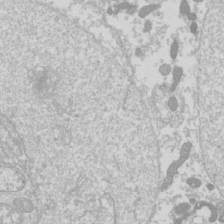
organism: Drosophila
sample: Cell division; meiosis; drosophila spermatocytes